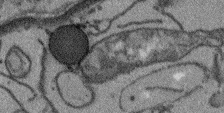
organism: Arabidopsis thaliana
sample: Root tip